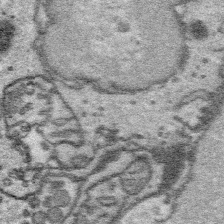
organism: Platynereis dumerilii